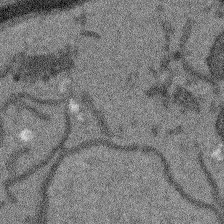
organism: Arabidopsis thaliana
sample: Root tip